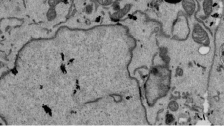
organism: Mouse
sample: ED-1 cell nuclei; centrioles